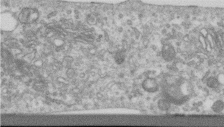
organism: Human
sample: Centriole in RPE cells